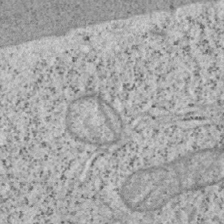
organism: Mouse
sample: OT-I killer T cells with ID8 ovarian cancer cells